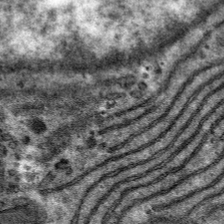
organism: Mouse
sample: Mouse hepatocytes